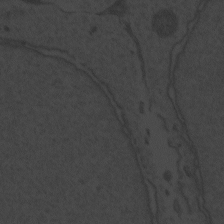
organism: Zebrafish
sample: Macrophage infected with Toxoplasma gondii